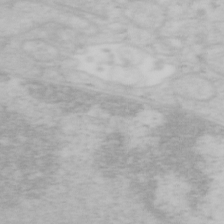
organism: Mouse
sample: OT-I killer T cells with ID8 ovarian cancer cells